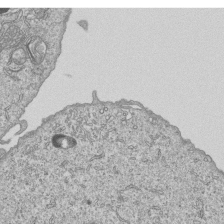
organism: Human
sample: MDA-MB-231 cells